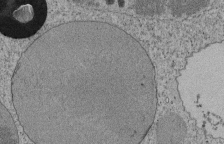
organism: Tetrahymena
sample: Cilia in tetrahymena